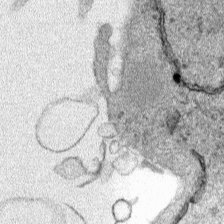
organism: Human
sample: Mitochondria in HCT116 cells